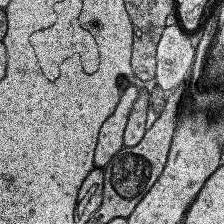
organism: Human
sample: Temporal Lobe